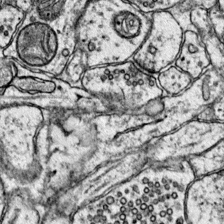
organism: Mouse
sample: Primary visual cortex